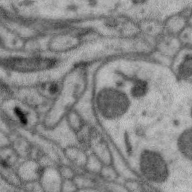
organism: Zebra finch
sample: Brain